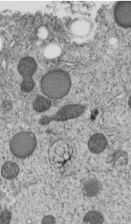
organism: C. elegans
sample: C. elegans embryo early stage